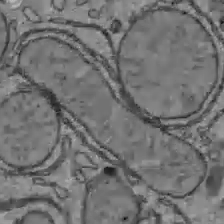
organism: C57BL Mouse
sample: Liver